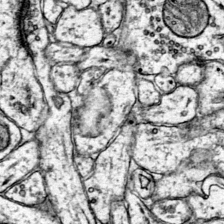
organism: Mouse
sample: Primary visual cortex